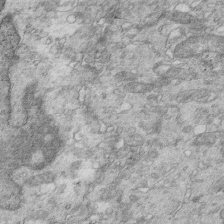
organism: Mouse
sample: Multiciliated cells